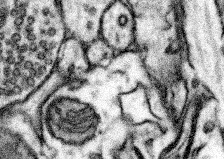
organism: Mouse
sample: Somatosensory cortex neuropil